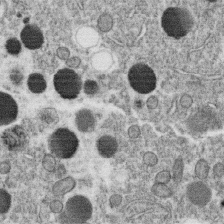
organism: C. elegans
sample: C. elegans oocyte; sperm cells